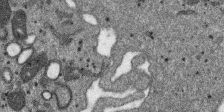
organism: Human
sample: Lung epithelial cells infected with SARS-CoV-2